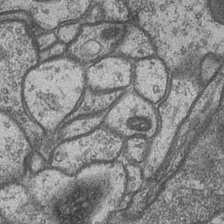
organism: Drosophila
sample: Optic medulla